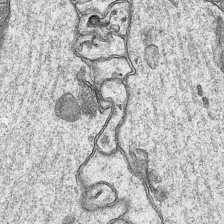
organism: Mouse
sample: CA1 Hippocampus